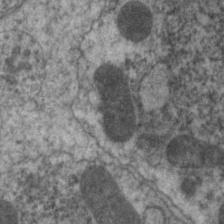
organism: C. elegans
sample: Pharynx